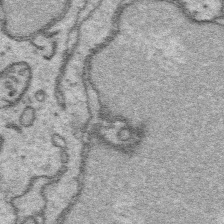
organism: Platynereis dumerilii